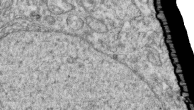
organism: Human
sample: HeLa cell HIV synapse